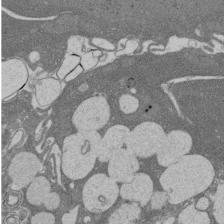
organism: Rat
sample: Salivary granule